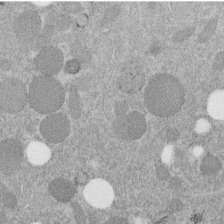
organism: C. elegans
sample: C. elegans embryo early stage